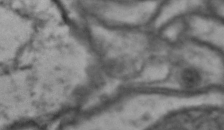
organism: Drosophila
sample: Brain